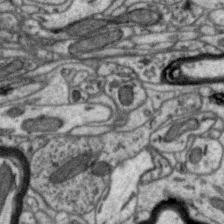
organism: Zebra finch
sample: Brain